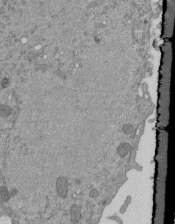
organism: Mouse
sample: ED-1 cell nuclei; centrioles